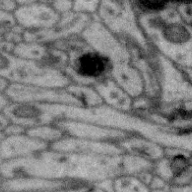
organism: Zebra finch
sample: Brain